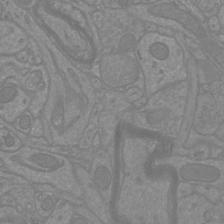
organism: Mouse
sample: Cortical neurons